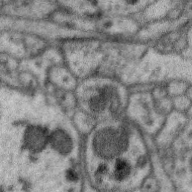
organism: Zebra finch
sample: Brain